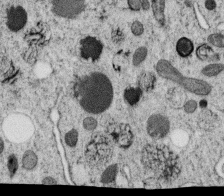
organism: C. elegans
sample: C. elegans oocyte; sperm cells